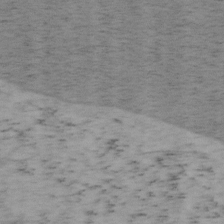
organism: Mouse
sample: OT-I killer T cells with ID8 ovarian cancer cells